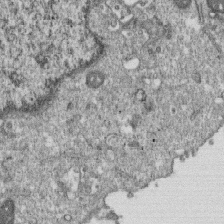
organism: African green monkey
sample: Vero E6 cells infected with SARS-CoV-2